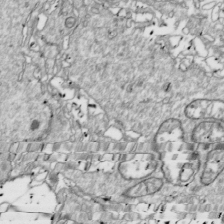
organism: Drosophila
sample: Cell division; meiosis; drosophila spermatocytes